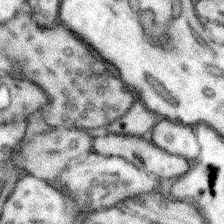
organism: Mouse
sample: Somatosensory cortex neuropil